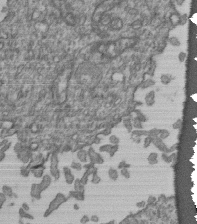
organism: Human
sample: Retinal organoid Rod and Cone cells